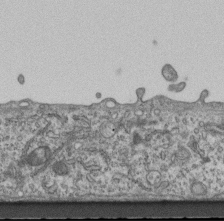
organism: Mouse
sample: Centriole in ependymal cells